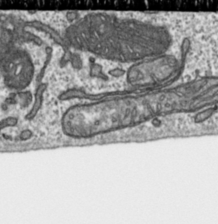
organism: Toxoplasma gondii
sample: Parasites in a vacuole inside a host cell